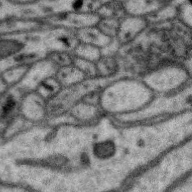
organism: Zebra finch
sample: Brain